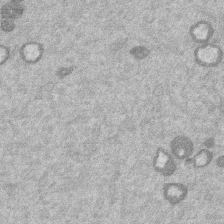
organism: Mouse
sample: Dividing mouse embryo 1 cell stage